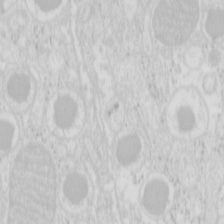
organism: Mouse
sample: Pancreas